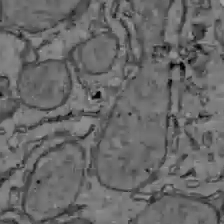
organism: C57BL Mouse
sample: Liver